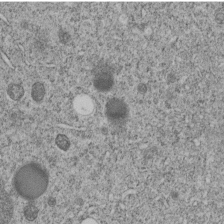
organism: C. elegans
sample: C. elegans embryo early stage